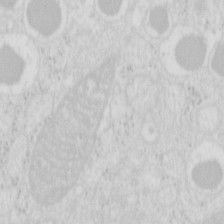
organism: Mouse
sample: Pancreas